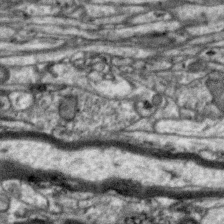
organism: Zebra finch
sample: Brain